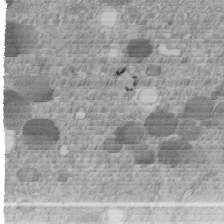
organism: C. elegans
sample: C. elegans embryo early stage